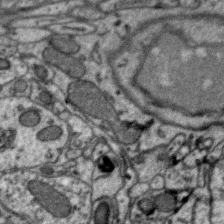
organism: Zebra finch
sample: Brain